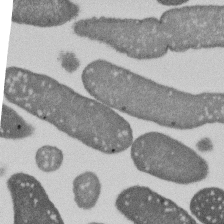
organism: E. coli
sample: Bacterial nucleoid